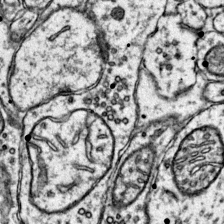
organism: Mouse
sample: Primary visual cortex